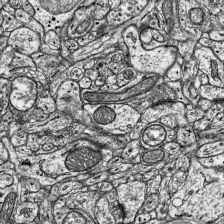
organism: Mouse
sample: Visual Cortex